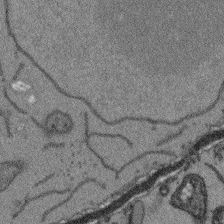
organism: Arabidopsis thaliana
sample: Root tip